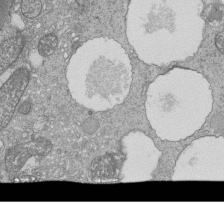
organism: Tetrahymena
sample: Cilia in tetrahymena